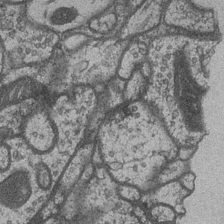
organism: Drosophila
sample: Optic medulla